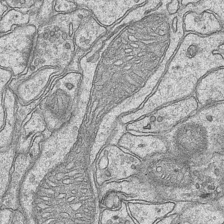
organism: Mouse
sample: CA1 Hippocampus